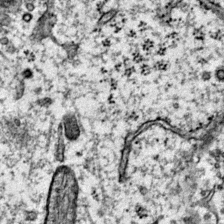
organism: Mouse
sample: Primary visual cortex